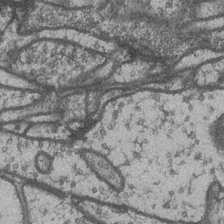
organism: Drosophila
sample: Optic medulla